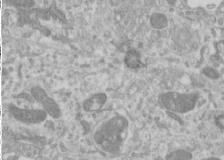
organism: Human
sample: Cilia; basal body in RPE cells